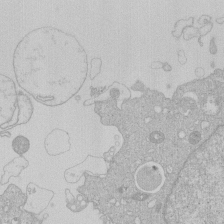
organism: Human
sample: Macrophage cells